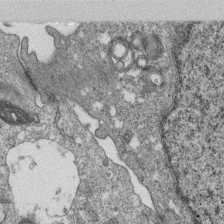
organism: African green monkey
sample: Vero E6 cells infected with SARS-CoV-2